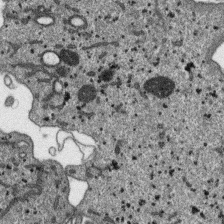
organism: Human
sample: Lung epithelial cells infected with SARS-CoV-2